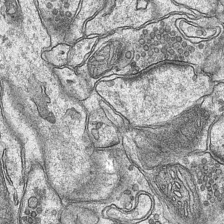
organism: Mouse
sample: CA1 Hippocampus